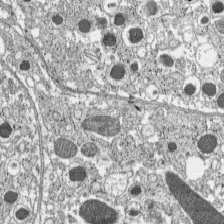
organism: C57BL Mouse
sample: Pancreatic islet